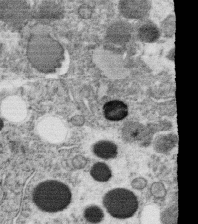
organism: C. elegans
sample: C. elegans oocyte; sperm cells